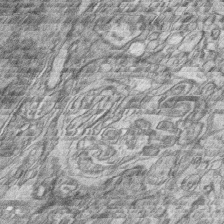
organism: Zebrafish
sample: synaptic ribbons in rod cells and cone cells